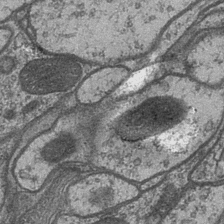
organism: Drosophila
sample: Optic medulla